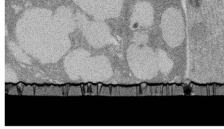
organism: Rat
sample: Salivary granule